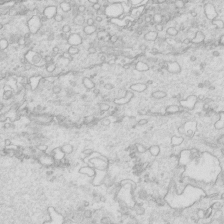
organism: Mouse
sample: Multiciliated cells